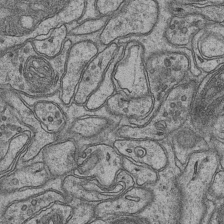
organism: Mouse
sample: CA1 Hippocampus